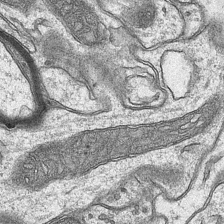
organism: Mouse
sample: CA1 Hippocampus